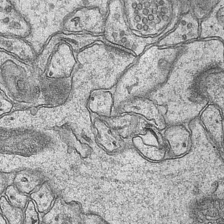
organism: Mouse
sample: CA1 Hippocampus